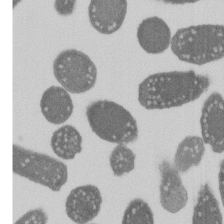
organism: E. coli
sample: Bacterial nucleoid